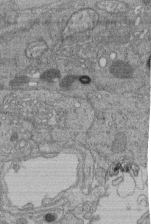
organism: Human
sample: Retinal organoid Rod and Cone cells